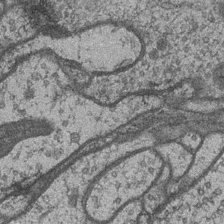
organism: Drosophila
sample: Optic medulla